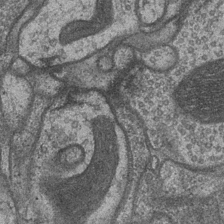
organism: Drosophila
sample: Optic medulla